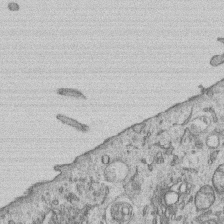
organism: Human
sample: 1205lu cells